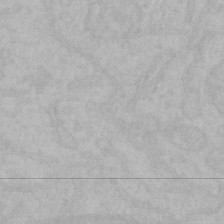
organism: Mouse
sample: Choroid plexus